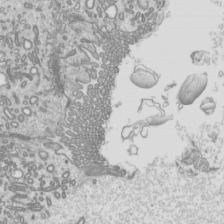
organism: Mouse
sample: Cilia; mouse epididymis